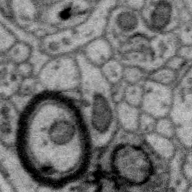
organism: Zebra finch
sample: Brain